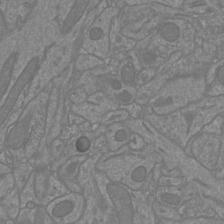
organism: Mouse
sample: Cortical neurons